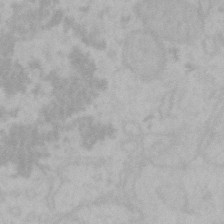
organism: Mouse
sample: Choroid plexus